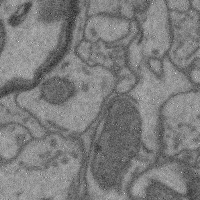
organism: Mouse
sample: Cerebral cortex